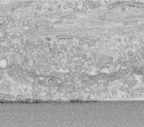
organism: Human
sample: Centriole in fibroblast cells